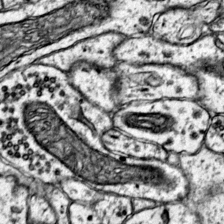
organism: Mouse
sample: Primary visual cortex